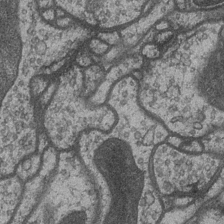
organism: Drosophila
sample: Optic medulla